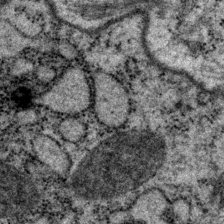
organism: P. pacificus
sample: Pharynx